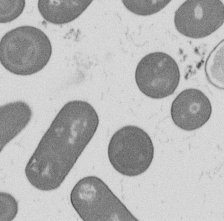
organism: B. subtilis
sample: Bacterial spore